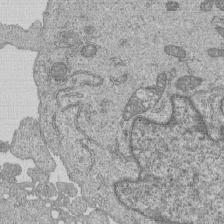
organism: Human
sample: MDA-MB-231 cells